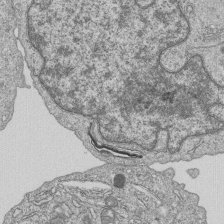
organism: Human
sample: MDA-MB-231 cells